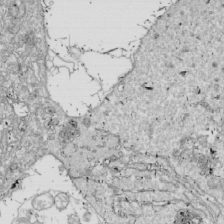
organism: Drosophila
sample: Cell division; meiosis; drosophila spermatocytes